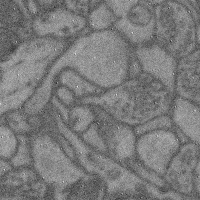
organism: Mouse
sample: Cerebral cortex